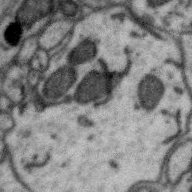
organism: Zebra finch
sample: Brain